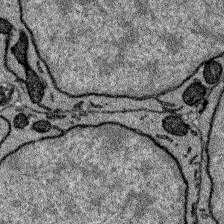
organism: Zebrafish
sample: Larval olfactory bulb